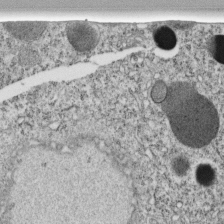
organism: C. elegans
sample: C. elegans embryo early stage